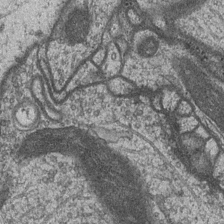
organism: Drosophila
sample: Optic medulla